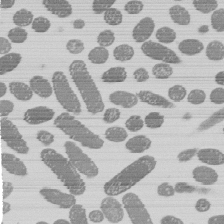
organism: E. coli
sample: Bacterial nucleoid